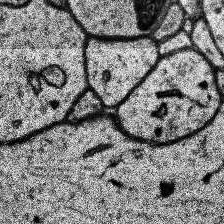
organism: Human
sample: Temporal Lobe